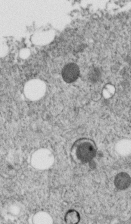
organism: C. elegans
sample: C. elegans embryo early stage